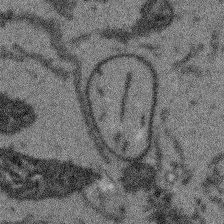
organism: Arabidopsis thaliana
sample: Root tip